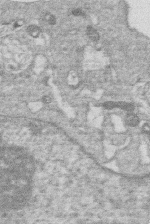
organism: Human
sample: Macrophage cells